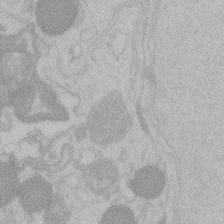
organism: Zebrafish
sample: Macrophage infected with Toxoplasma gondii